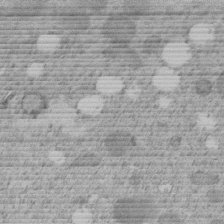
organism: C. elegans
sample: C. elegans embryo early stage